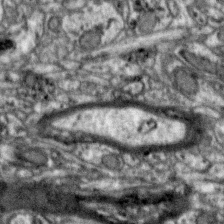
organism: Zebra finch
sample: Brain